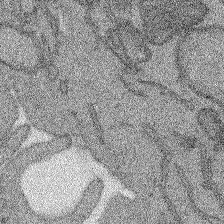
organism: Human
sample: HeLa cells